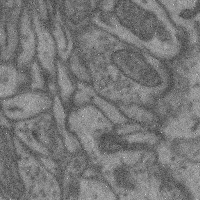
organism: Mouse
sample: Cerebral cortex